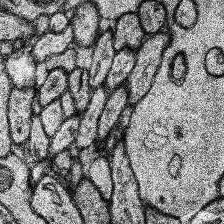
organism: Human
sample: Temporal Lobe